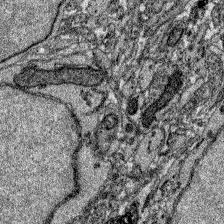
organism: Zebrafish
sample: Larval olfactory bulb